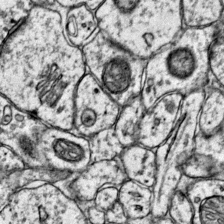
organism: Mouse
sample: Primary visual cortex